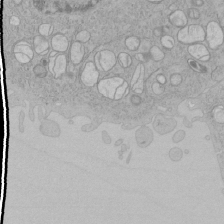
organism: Human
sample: Mitochondria in HCT116 cells